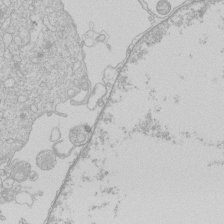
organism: Human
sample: Macrophage cells